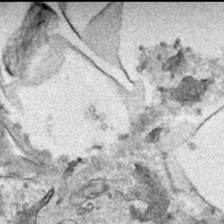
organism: Human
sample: Mitochondria in HCT116 cells